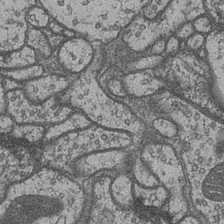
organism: Drosophila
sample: Optic medulla